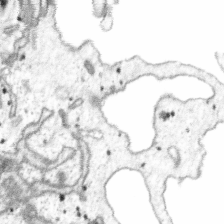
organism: Human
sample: HeLa cells